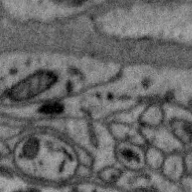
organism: Zebra finch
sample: Brain